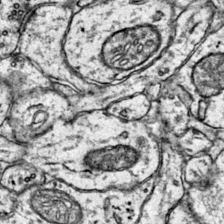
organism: Mouse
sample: Primary visual cortex